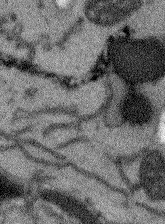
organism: Arabidopsis thaliana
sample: Root tip